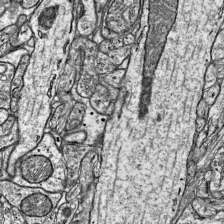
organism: Mouse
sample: Visual Cortex